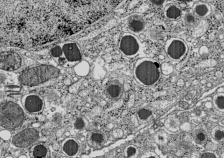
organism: C57BL Mouse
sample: Pancreatic islet